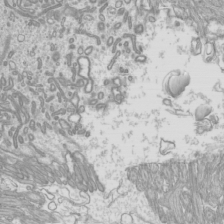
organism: Mouse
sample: Cilia; mouse epididymis